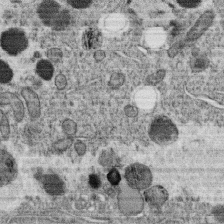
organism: C. elegans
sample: C. elegans oocyte; sperm cells